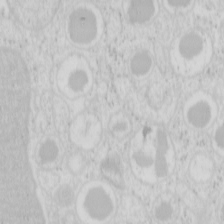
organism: Mouse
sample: Pancreas